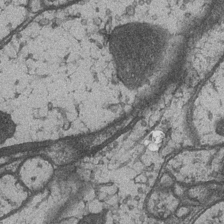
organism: Drosophila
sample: Optic medulla